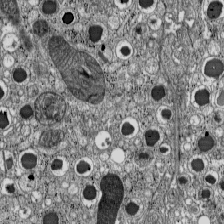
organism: C57BL Mouse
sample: Pancreatic islet